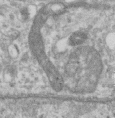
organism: Human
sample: Centriole in RPE cells